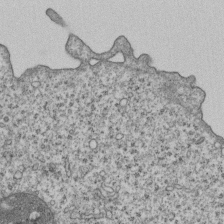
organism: Human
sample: MDA-MB-231 cells